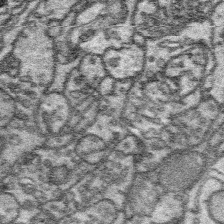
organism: Platynereis dumerilii